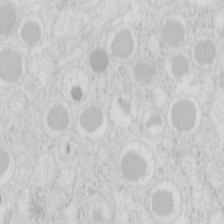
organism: Mouse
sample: Pancreas